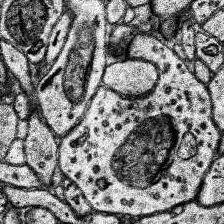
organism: Human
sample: Temporal Lobe